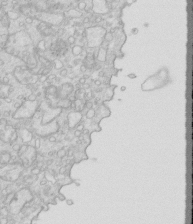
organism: Mouse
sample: Multiciliated cells